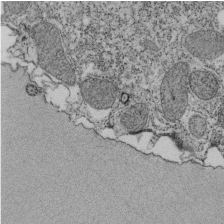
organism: Tetrahymena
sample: Cilia in tetrahymena